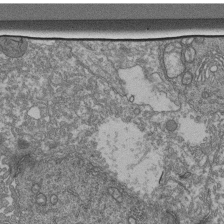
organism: Human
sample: Retinal organoid Rod and Cone cells